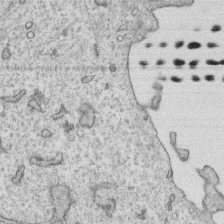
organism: Human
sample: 1205lu cells